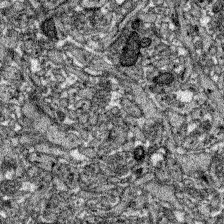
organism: Zebrafish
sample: Larval olfactory bulb